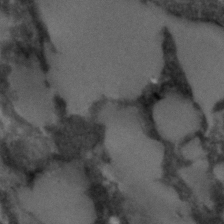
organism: C. elegans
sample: C. elegans embryo